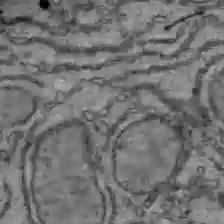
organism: C57BL Mouse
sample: Liver